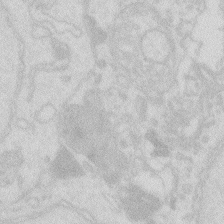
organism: Zebrafish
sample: Macrophage